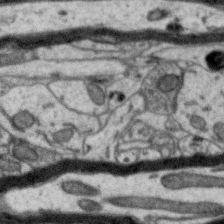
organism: Zebra finch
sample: Brain